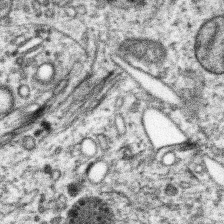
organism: Human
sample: HeLa cells